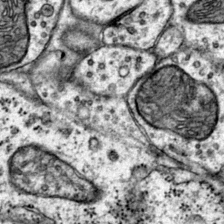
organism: Mouse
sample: Primary visual cortex